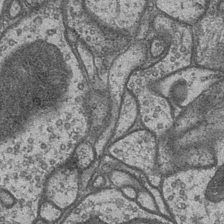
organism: Drosophila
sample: Optic medulla